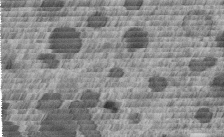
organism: C. elegans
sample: C. elegans embryo early stage